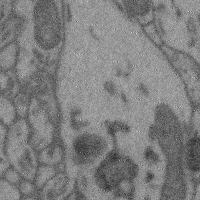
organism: Mouse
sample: Cerebral cortex